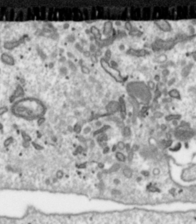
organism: Toxoplasma gondii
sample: Parasites in a vacuole inside a host cell